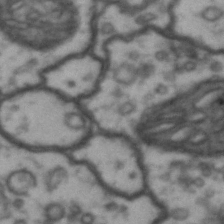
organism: Drosophila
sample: Brain